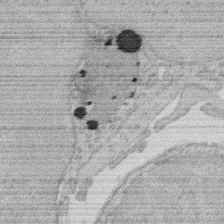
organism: Rat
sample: Salivary granule